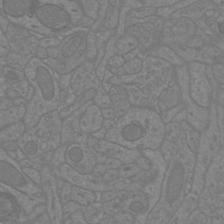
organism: Mouse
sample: Cortical neurons